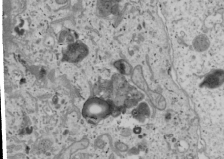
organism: Human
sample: Mitochondria in U2OS cells